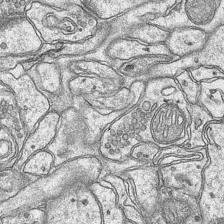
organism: Mouse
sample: CA1 Hippocampus